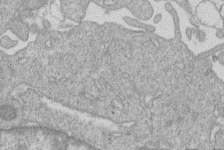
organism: Human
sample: Macrophage cells